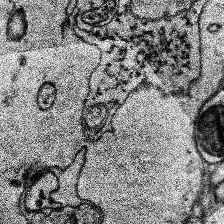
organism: Human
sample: Temporal Lobe